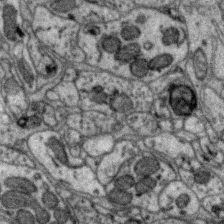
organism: Zebra finch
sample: Brain